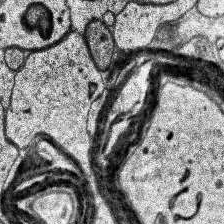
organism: Human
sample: Temporal Lobe